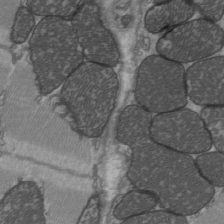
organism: C57BL Mouse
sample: Heart